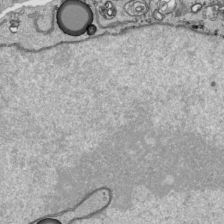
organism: Human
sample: Mitochondria in HCT116 cells